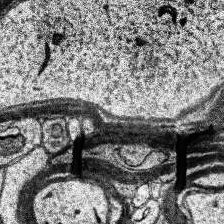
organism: Human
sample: Temporal Lobe